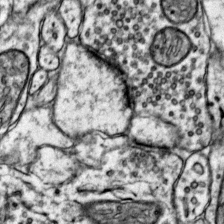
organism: Mouse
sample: Primary visual cortex